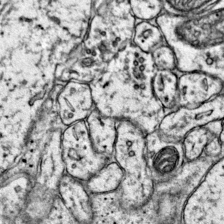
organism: Mouse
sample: Primary visual cortex